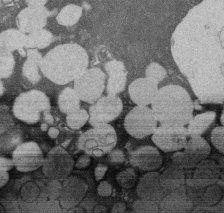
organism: Rat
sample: Salivary granule